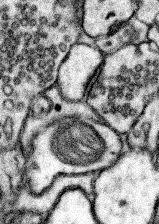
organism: Mouse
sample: Somatosensory cortex neuropil